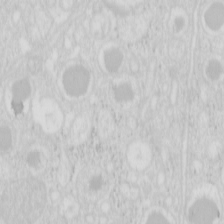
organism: Mouse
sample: Pancreas